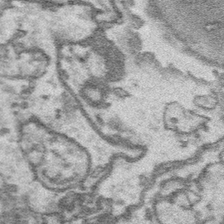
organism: Platynereis dumerilii